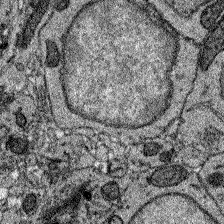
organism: Zebrafish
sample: Larval olfactory bulb